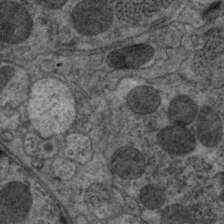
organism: C. elegans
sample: Pharynx